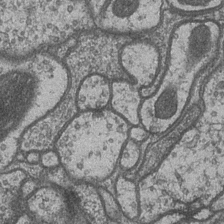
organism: Drosophila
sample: Optic medulla